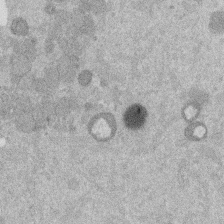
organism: Mouse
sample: Dividing mouse embryo 1 cell stage